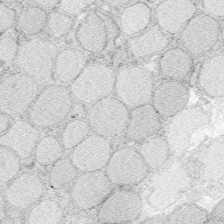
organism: Zebrafish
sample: Whole-Brain